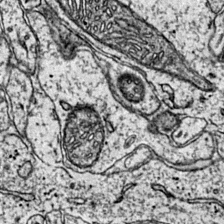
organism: Mouse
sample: Primary visual cortex